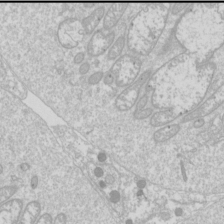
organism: Drosophila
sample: Cell division; meiosis; drosophila spermatocytes